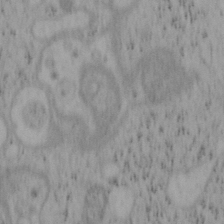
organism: Mouse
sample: OT-I killer T cells with ID8 ovarian cancer cells